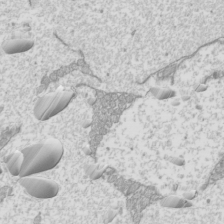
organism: Mouse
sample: Cilia; mouse epididymis